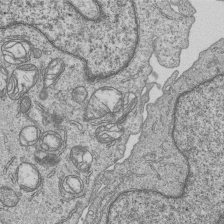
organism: Human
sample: MDA-MB-231 cells